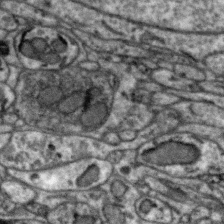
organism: Zebra finch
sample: Brain